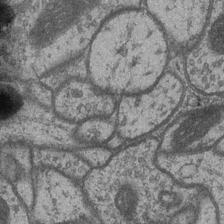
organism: Drosophila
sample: Optic medulla